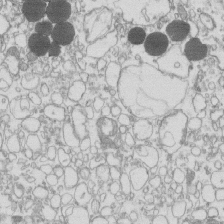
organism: Mouse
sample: Macrophages